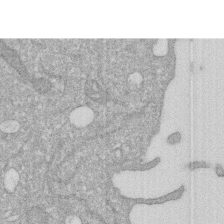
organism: Human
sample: HIV infected U937 cells